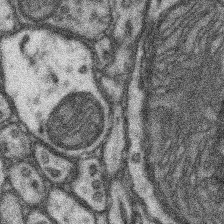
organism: Mouse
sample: Somatosensory cortex neuropil